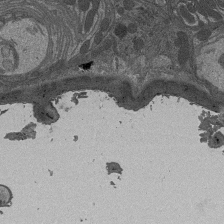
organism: Drosophila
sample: Antenna